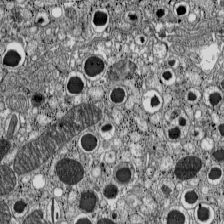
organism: C57BL Mouse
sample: Pancreatic islet